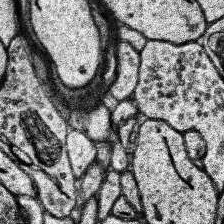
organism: Human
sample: Temporal Lobe